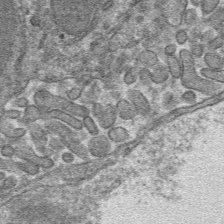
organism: Mouse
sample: Mouse hepatocytes